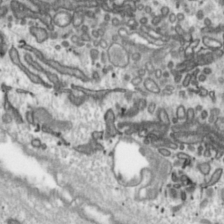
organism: Toxoplasma gondii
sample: Parasites in a vacuole inside a host cell